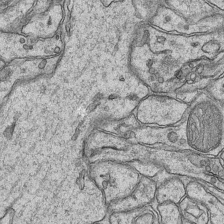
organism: Mouse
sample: CA1 Hippocampus